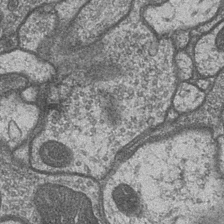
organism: Drosophila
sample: Optic medulla